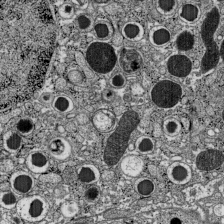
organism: C57BL Mouse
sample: Pancreatic islet